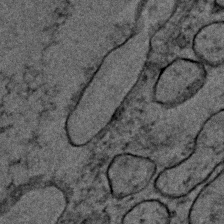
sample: Trachea